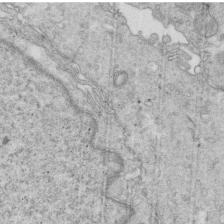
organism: Mouse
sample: Multiciliated cells